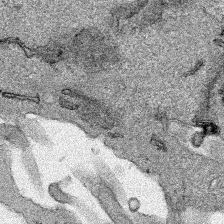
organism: Human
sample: Mitochondria in HCT116 cells